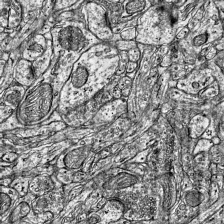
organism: Mouse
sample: Visual Cortex